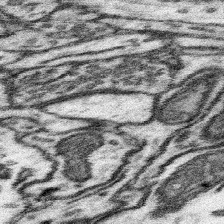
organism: Mouse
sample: Somatosensory cortex neuropil